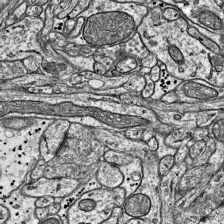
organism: Mouse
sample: Visual Cortex